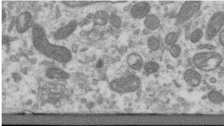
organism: Human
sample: Centriole in RPE cells